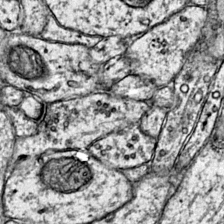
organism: Mouse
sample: Primary visual cortex